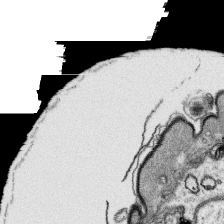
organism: Platynereis dumerilii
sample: Parapodia